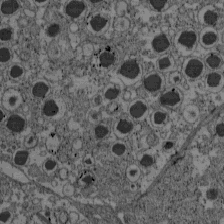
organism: C57BL Mouse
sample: Pancreatic islet